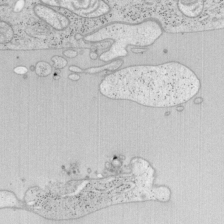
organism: Mouse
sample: OT-I killer T cells with ID8 ovarian cancer cells